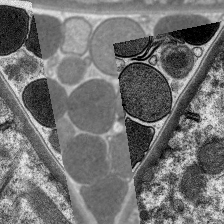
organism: C. elegans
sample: Pharynx